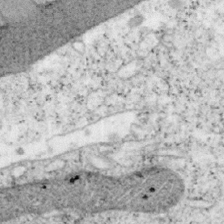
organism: Mouse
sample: OT-I killer T cells with ID8 ovarian cancer cells